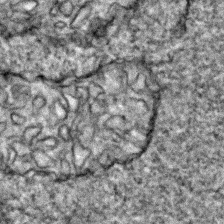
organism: Zebrafish